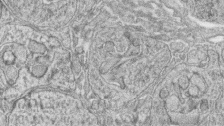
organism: Zebrafish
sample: synaptic ribbons in rod cells and cone cells